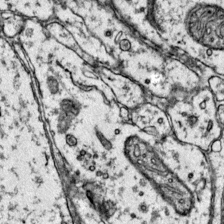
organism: Mouse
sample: Primary visual cortex